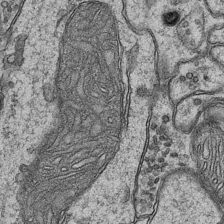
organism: Mouse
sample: CA1 Hippocampus